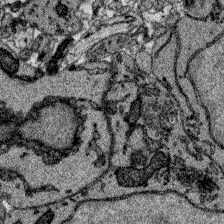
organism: Zebrafish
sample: Larval olfactory bulb